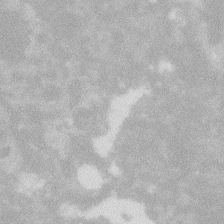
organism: Zebrafish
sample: Macrophage